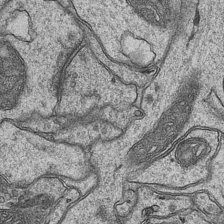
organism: Mouse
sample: CA1 Hippocampus